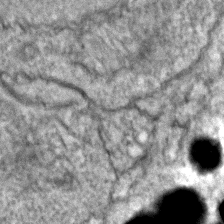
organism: Zebrafish